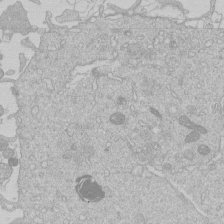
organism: Human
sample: Macrophage cells